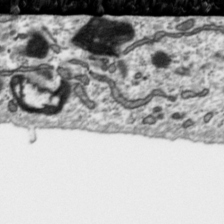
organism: Toxoplasma gondii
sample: Parasites in a vacuole inside a host cell